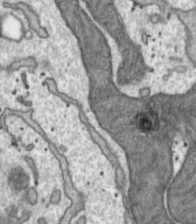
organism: Toxoplasma gondii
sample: Parasites in a vacuole inside a host cell